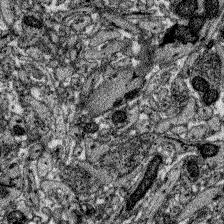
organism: Zebrafish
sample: Larval olfactory bulb